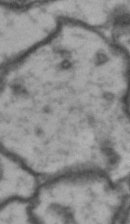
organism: Drosophila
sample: Brain